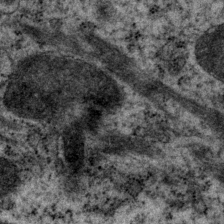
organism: P. pacificus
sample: Pharynx